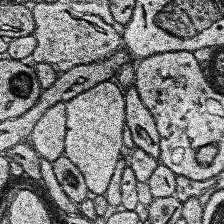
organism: Human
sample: Temporal Lobe